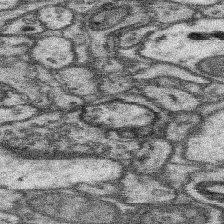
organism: Mouse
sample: Somatosensory cortex neuropil